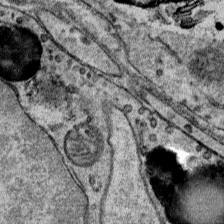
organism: Mouse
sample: Mouse Salivary gland